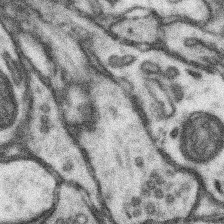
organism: Mouse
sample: Somatosensory cortex neuropil